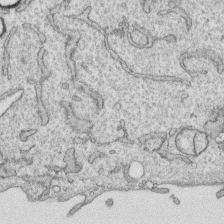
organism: Human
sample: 1205lu cells